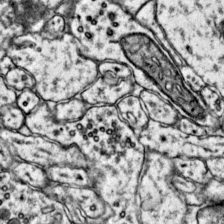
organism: Mouse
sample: Primary visual cortex